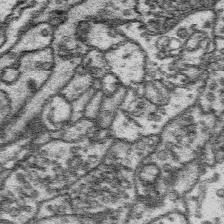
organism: Platynereis dumerilii